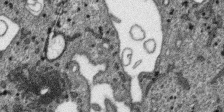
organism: Human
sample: Lung epithelial cells infected with SARS-CoV-2